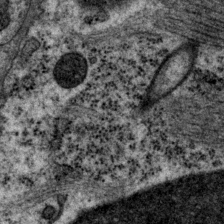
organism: P. pacificus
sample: Pharynx